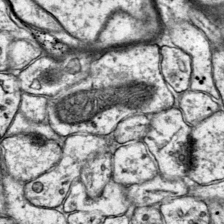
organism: Mouse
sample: Primary visual cortex